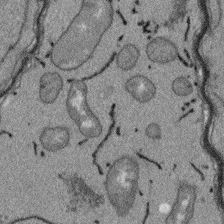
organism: Arabidopsis thaliana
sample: Root tip